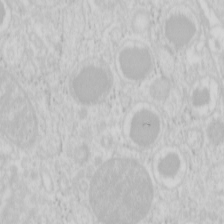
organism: Mouse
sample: Pancreas